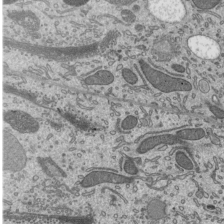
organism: Mouse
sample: Mouse epididymis efferent ductule cilia